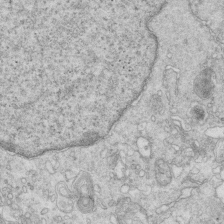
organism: Mouse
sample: Multiciliated cells